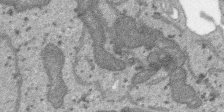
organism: Human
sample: Lung epithelial cells infected with SARS-CoV-2